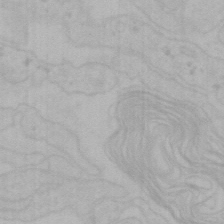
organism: Mouse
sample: Choroid plexus